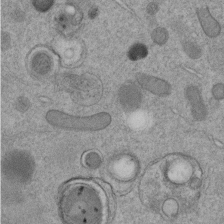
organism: C. elegans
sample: C. elegans embryo early stage